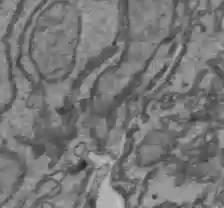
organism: C57BL Mouse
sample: Liver